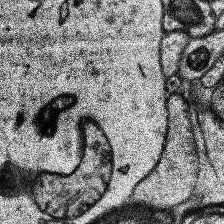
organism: Human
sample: Temporal Lobe